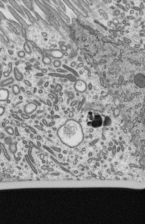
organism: Mouse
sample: Mouse epididymis efferent ductule cilia